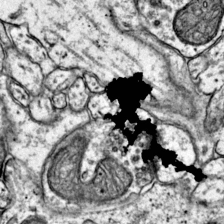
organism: Mouse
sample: Primary visual cortex